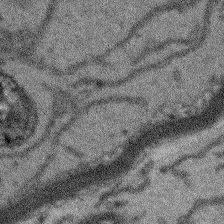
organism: Arabidopsis thaliana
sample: Root tip